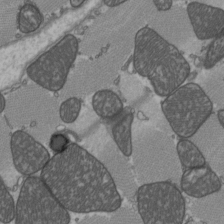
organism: C57BL Mouse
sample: Heart